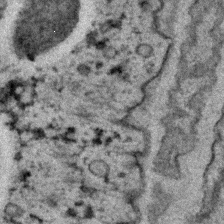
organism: C. elegans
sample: C. elegans embryo